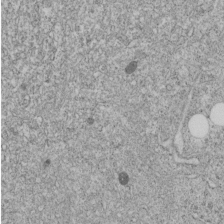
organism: C. elegans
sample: C. elegans embryo early stage